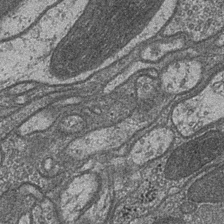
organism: Drosophila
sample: Optic medulla